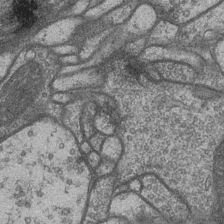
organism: Drosophila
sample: Optic medulla